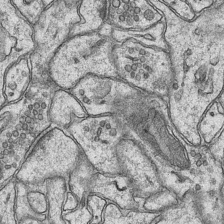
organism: Mouse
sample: CA1 Hippocampus